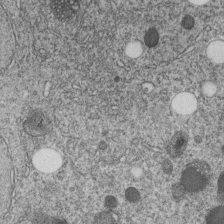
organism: C. elegans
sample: C. elegans embryo early stage